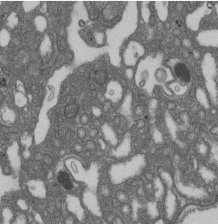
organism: Drosophila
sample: Nephrocyte